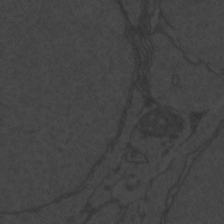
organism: Zebrafish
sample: Macrophage infected with Toxoplasma gondii